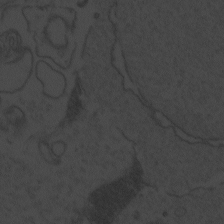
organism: Zebrafish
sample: Macrophage infected with Toxoplasma gondii